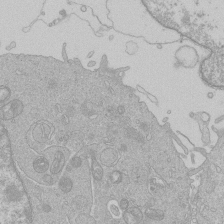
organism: Human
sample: Macrophage cells